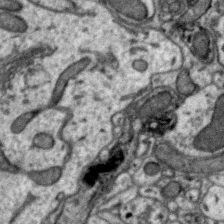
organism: Zebra finch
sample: Brain